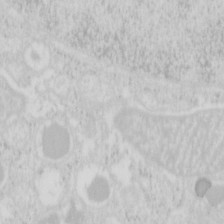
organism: Mouse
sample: Pancreas